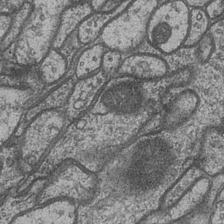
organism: Drosophila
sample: Optic medulla